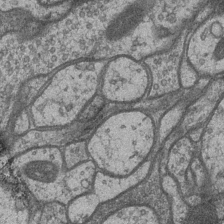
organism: Drosophila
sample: Optic medulla